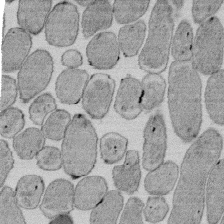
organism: E. coli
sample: Bacterial nucleoid